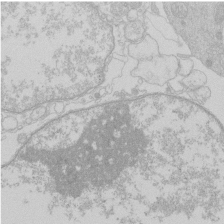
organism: Human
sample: Macrophage cells